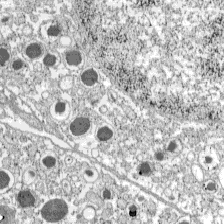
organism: C57BL Mouse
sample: Pancreatic islet